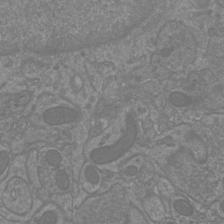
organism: Mouse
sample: Cortical neurons